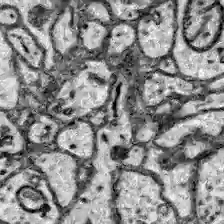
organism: Zebrafish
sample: Brain